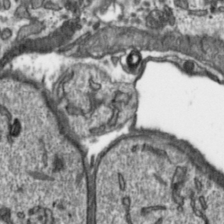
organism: Toxoplasma gondii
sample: Parasites in a vacuole inside a host cell